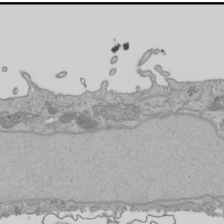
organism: Human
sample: Mitochondria in HCT116 cells